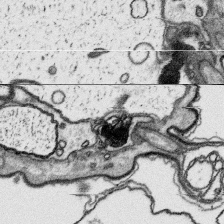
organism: Platynereis dumerilii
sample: Parapodia